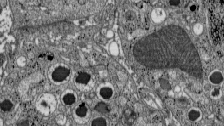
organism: C57BL Mouse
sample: Pancreatic islet